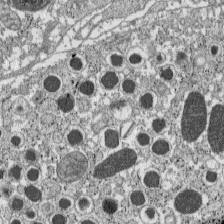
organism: C57BL Mouse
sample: Pancreatic islet